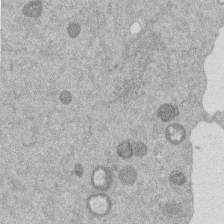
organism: Mouse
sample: Dividing mouse embryo 1 cell stage